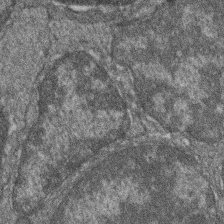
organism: Zebrafish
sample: Cilia; retinal pigment epithelium